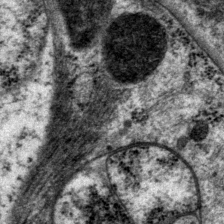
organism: P. pacificus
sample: Pharynx